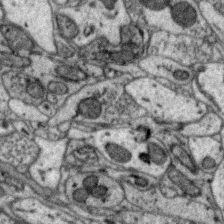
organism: Zebra finch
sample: Brain